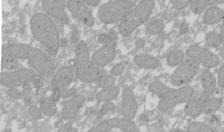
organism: Xenopus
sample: Cilia; centrioles in frog embryo cells